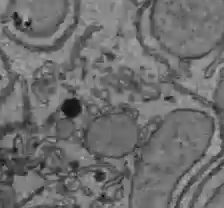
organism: C57BL Mouse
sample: Liver